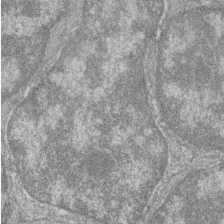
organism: Zebrafish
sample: Cilia; retinal pigment epithelium